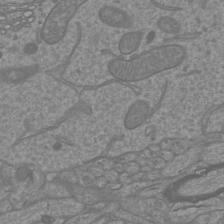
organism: Mouse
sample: Cortical neurons